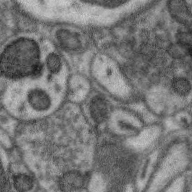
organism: Zebra finch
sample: Brain